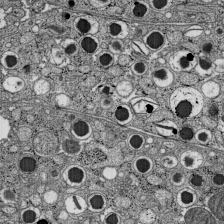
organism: C57BL Mouse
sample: Pancreatic islet